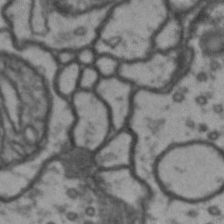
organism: Drosophila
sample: Brain